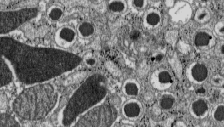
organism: C57BL Mouse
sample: Pancreatic islet